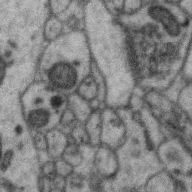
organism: Zebra finch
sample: Brain